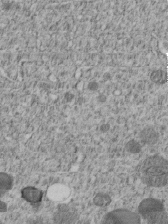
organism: C. elegans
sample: C. elegans embryo early stage